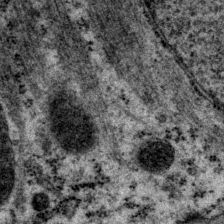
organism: P. pacificus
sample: Pharynx